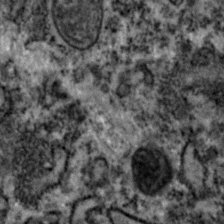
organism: Zebrafish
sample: Zebrafish embryo